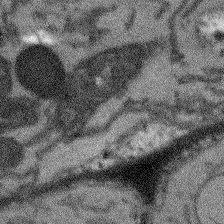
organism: Arabidopsis thaliana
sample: Root tip